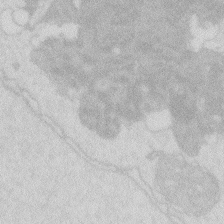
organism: Zebrafish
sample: Macrophage